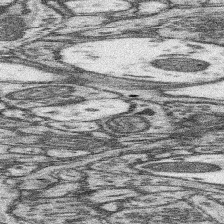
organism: Mouse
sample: Somatosensory cortex neuropil